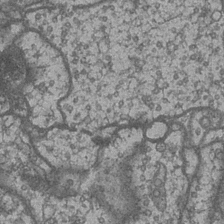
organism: Drosophila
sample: Optic medulla